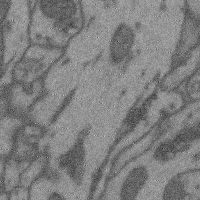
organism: Mouse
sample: Cerebral cortex